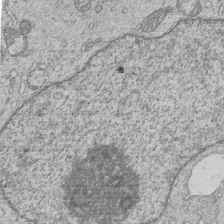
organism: Human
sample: MDA-MB-231 cells